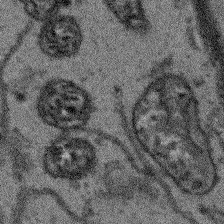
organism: Arabidopsis thaliana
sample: Root tip